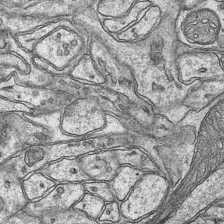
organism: Mouse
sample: CA1 Hippocampus